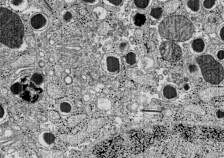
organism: C57BL Mouse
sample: Pancreatic islet